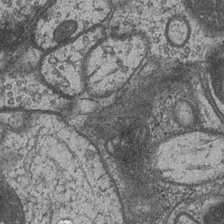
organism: Drosophila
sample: Optic medulla